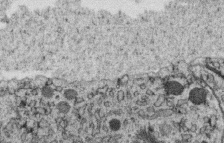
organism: C. elegans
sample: C. elegans oocyte; sperm cells